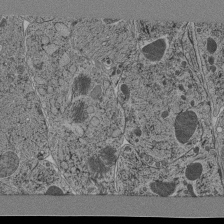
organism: C. elegans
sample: C. elegans pharynx